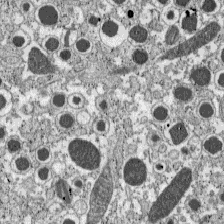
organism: C57BL Mouse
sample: Pancreatic islet